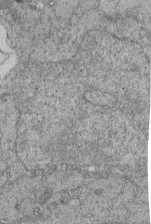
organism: Human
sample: Retinal organoid Rod and Cone cells